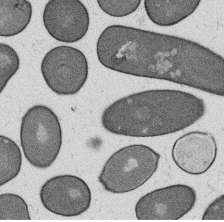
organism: B. subtilis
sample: Bacterial spore